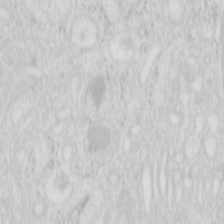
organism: Mouse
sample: Pancreas